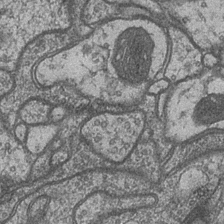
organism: Drosophila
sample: Optic medulla